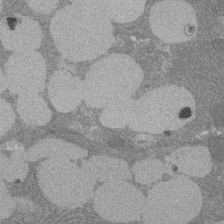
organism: Rat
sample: Salivary granule